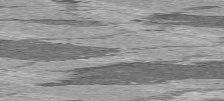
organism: C57BL Mouse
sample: Heart